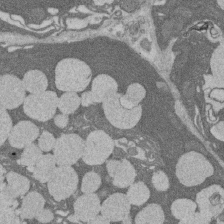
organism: Rat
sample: Salivary granule